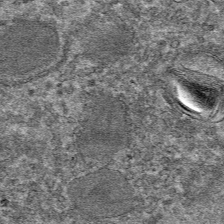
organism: Mouse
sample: Mouse hepatocytes